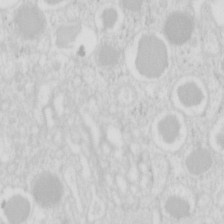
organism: Mouse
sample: Pancreas